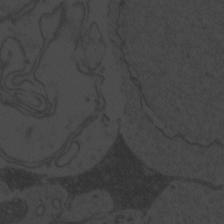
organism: Zebrafish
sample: Macrophage infected with Toxoplasma gondii